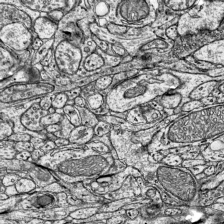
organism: Mouse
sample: Visual Cortex